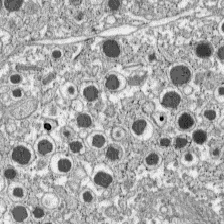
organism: C57BL Mouse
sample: Pancreatic islet